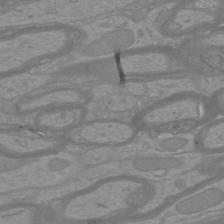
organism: Mouse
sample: Cortical neurons